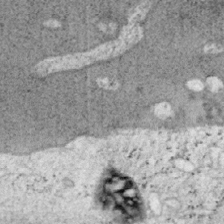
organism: Mouse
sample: OT-I killer T cells with ID8 ovarian cancer cells